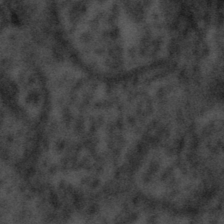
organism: Tuwongella immobilis